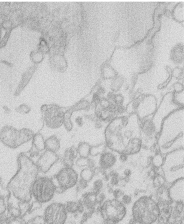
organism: Human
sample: Macrophage cells